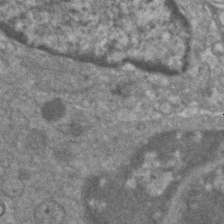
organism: Human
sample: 1205lu cells